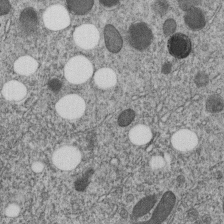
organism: C. elegans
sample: C. elegans embryo early stage